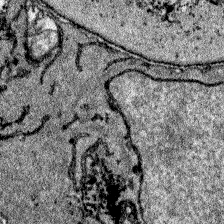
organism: Zebrafish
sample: Larval olfactory bulb